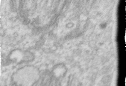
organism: Human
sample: Centriole in RPE cells